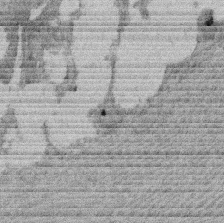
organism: Rat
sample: Salivary granule